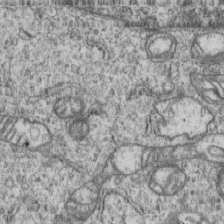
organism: Human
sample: MDA-MB-231 cells